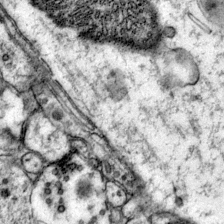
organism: Mouse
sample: Primary visual cortex